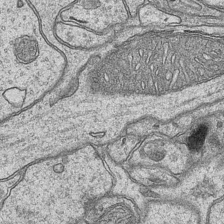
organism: Mouse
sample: CA1 Hippocampus